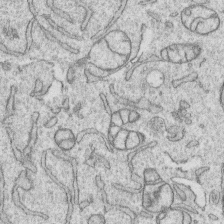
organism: Human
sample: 1205lu cells